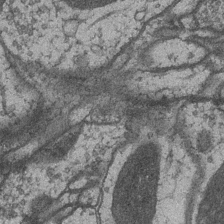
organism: Drosophila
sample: Optic medulla